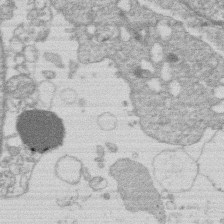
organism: Human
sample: Macrophage cells